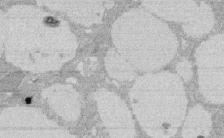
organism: Rat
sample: Salivary granule